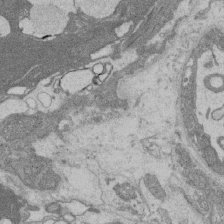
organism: Rat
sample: Salivary granule